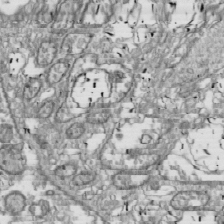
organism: Drosophila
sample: Cell division; meiosis; drosophila spermatocytes